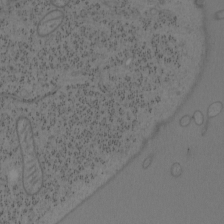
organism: Mouse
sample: OT-I killer T cells with ID8 ovarian cancer cells